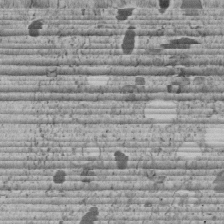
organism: C. elegans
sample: C. elegans embryo early stage